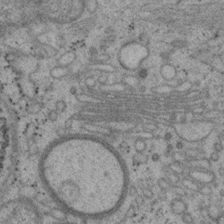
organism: Human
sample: HeLa cells